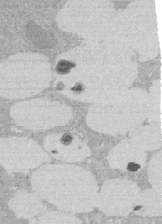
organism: Rat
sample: Salivary granule